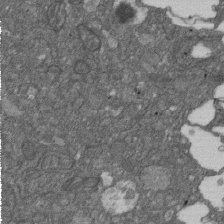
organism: Drosophila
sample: Nephrocyte